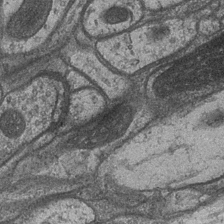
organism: Drosophila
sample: Optic medulla